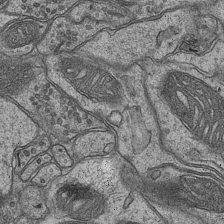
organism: Mouse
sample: CA1 Hippocampus